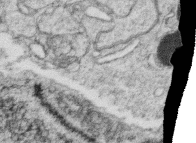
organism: C. elegans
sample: C. elegans oocyte; sperm cells